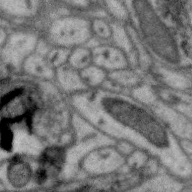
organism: Zebra finch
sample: Brain